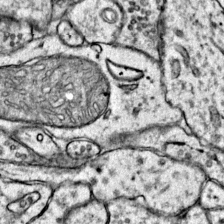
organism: Mouse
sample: Primary visual cortex